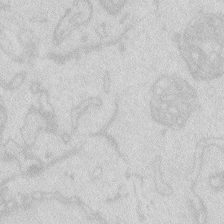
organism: Zebrafish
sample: Macrophage